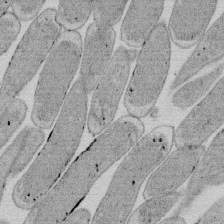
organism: E. coli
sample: Bacterial nucleoid